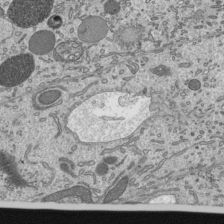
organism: Mouse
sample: Mouse epididymis efferent ductule cilia